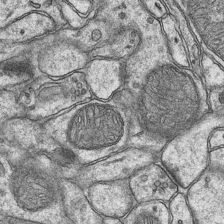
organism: Mouse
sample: CA1 Hippocampus